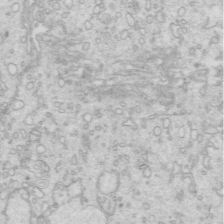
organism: Mouse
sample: Multiciliated cells